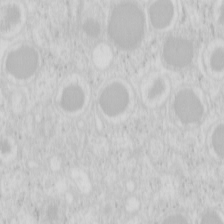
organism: Mouse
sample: Pancreas